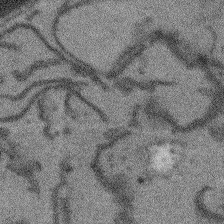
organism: Arabidopsis thaliana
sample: Root tip